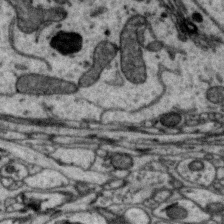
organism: Zebra finch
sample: Brain